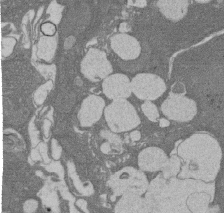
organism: Rat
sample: Salivary granule